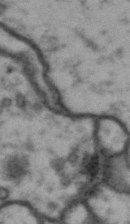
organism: Drosophila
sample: Brain